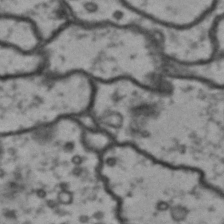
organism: Drosophila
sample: Brain